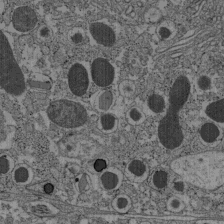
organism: C57BL Mouse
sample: Pancreatic islet